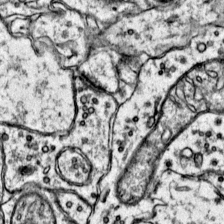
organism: Mouse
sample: Primary visual cortex